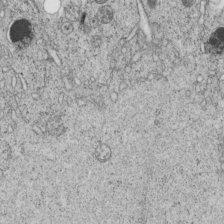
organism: C. elegans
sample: C. elegans embryo early stage